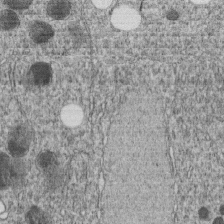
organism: C. elegans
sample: C. elegans embryo early stage